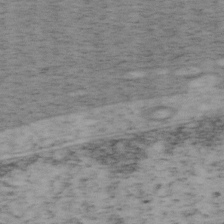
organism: Mouse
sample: OT-I killer T cells with ID8 ovarian cancer cells